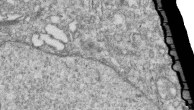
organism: Human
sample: HeLa cell HIV synapse